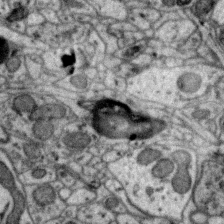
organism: Zebra finch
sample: Brain